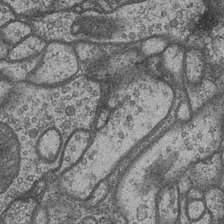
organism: Drosophila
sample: Optic medulla